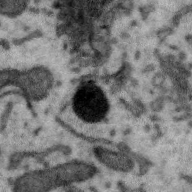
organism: Zebra finch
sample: Brain